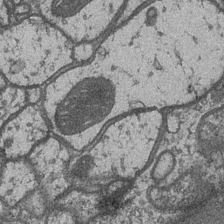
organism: Drosophila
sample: Optic medulla